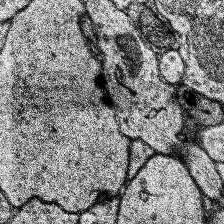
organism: Human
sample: Temporal Lobe